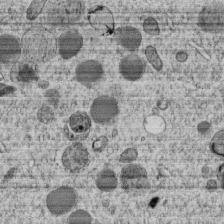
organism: C. elegans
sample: C. elegans embryo early stage